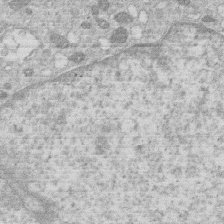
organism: Human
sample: Macrophage cells